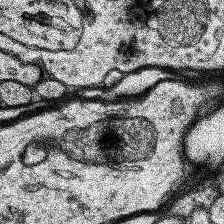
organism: Human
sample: Temporal Lobe